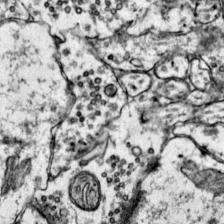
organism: Mouse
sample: Primary visual cortex